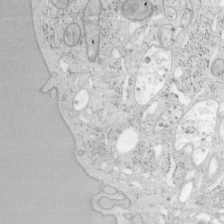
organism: Mouse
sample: OT-I killer T cells with ID8 ovarian cancer cells